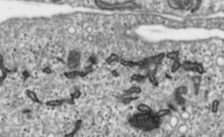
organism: Toxoplasma gondii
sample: Parasites in a vacuole inside a host cell